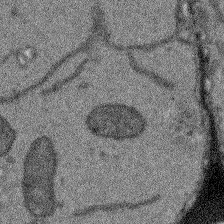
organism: Arabidopsis thaliana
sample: Root tip